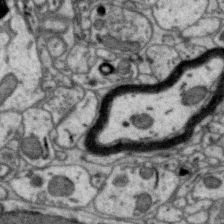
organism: Zebra finch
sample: Brain